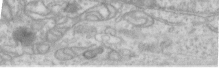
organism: Human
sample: Centriole in RPE cells